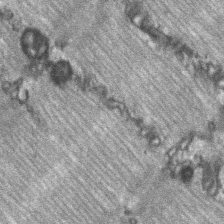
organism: C57BL Mouse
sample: Soleus